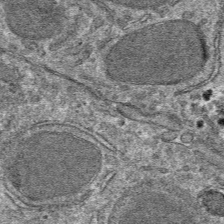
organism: Mouse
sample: Mouse hepatocytes